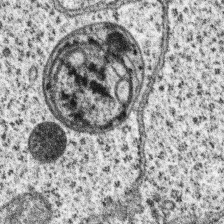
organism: Human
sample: HeLa cells